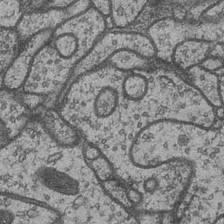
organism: Drosophila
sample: Optic medulla